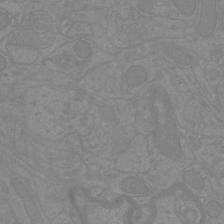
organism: Mouse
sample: Cortical neurons